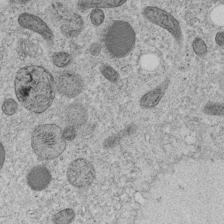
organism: C. elegans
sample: C. elegans embryo early stage